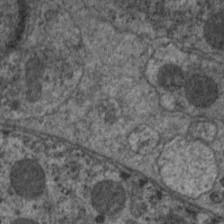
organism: C. elegans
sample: Pharynx